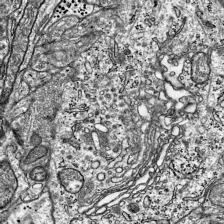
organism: Mouse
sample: Visual Cortex